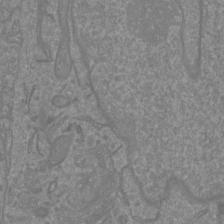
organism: Mouse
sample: Cortical neurons